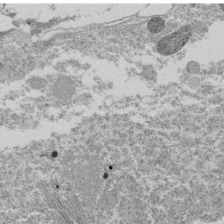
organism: Tetrahymena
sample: Cilia in tetrahymena